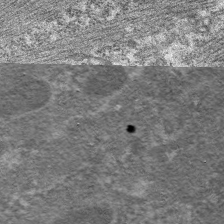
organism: C. elegans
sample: Pharynx